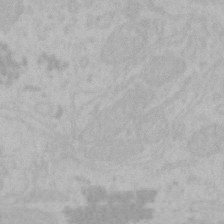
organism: Mouse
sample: Choroid plexus